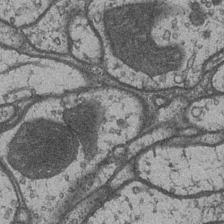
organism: Drosophila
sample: Optic medulla